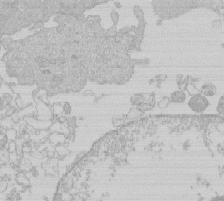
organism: Human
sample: Macrophage cells